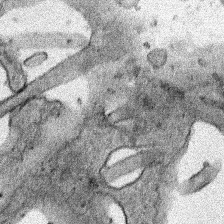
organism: Human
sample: Mitochondria in HCT116 cells